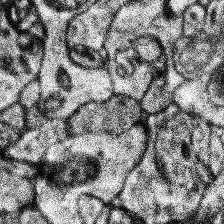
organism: Human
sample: Temporal Lobe